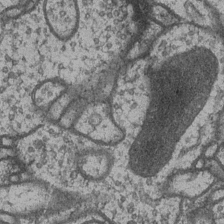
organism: Drosophila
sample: Optic medulla